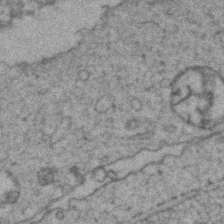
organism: Zebrafish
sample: Zebrafish embryo